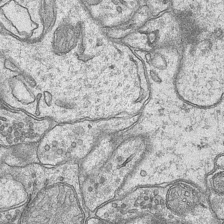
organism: Mouse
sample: CA1 Hippocampus